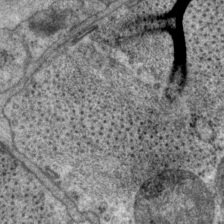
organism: P. pacificus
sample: Pharynx